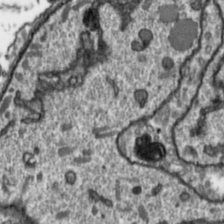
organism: Toxoplasma gondii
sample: Parasites in a vacuole inside a host cell